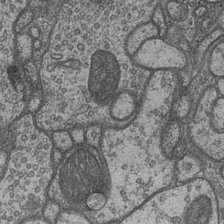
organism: Drosophila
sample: Optic medulla